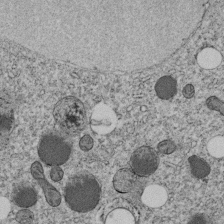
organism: C. elegans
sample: C. elegans embryo early stage